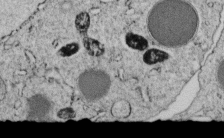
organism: C. elegans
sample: C. elegans embryo early stage